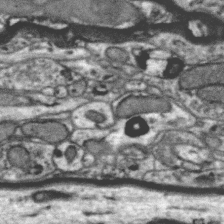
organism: Zebra finch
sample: Brain